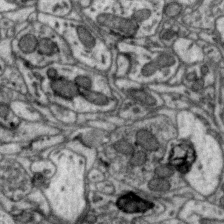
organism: Zebra finch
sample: Brain